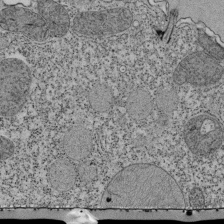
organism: Tetrahymena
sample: Cilia in tetrahymena